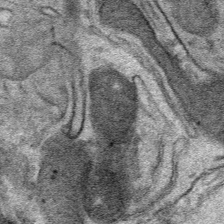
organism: Mouse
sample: Mouse Salivary gland